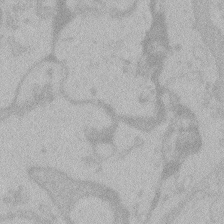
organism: Zebrafish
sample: Macrophage infected with Toxoplasma gondii